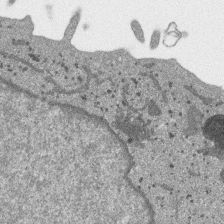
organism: Human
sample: Lung epithelial cells infected with SARS-CoV-2